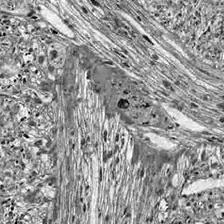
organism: Drosophila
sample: Optic lobe